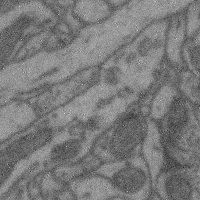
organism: Mouse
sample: Cerebral cortex